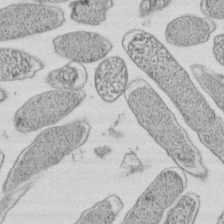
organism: E. coli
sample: Bacterial nucleoid